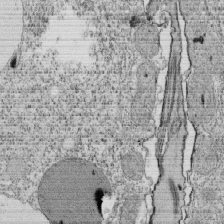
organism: Tetrahymena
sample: Cilia in tetrahymena